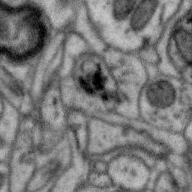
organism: Zebra finch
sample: Brain